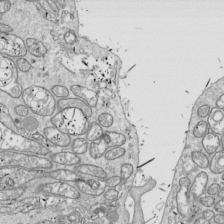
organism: Drosophila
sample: Cell division; meiosis; drosophila spermatocytes